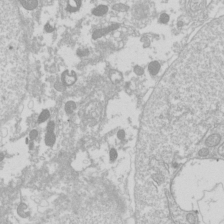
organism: Drosophila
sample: Cell division; meiosis; drosophila spermatocytes